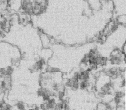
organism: Human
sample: HeLa cell HIV synapse